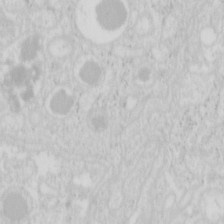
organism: Mouse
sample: Pancreas